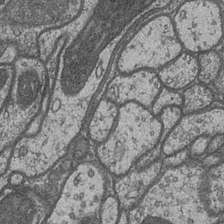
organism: Drosophila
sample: Optic medulla